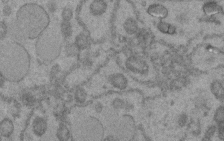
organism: C. elegans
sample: C. elegans embryo early stage